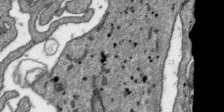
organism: Human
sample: Lung epithelial cells, uninfected (mock) control